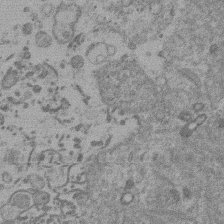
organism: Mouse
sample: Dividing mouse embryo 1 cell stage